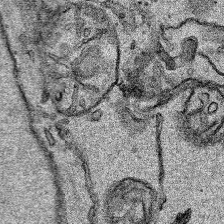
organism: Human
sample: Mitochondria in HCT116 cells